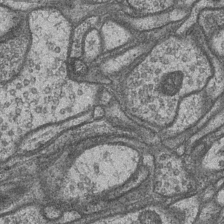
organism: Drosophila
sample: Optic medulla